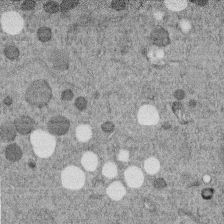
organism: C. elegans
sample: C. elegans embryo early stage